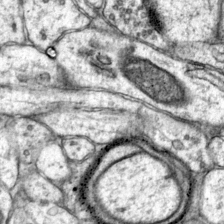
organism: Mouse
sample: Primary visual cortex